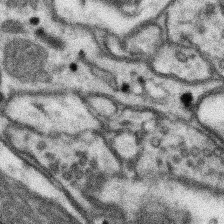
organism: Mouse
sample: Somatosensory cortex neuropil